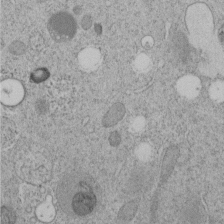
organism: C. elegans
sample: C. elegans embryo early stage